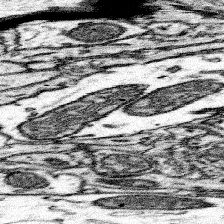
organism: Mouse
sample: Somatosensory cortex neuropil